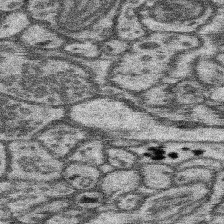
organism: Mouse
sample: Somatosensory cortex neuropil